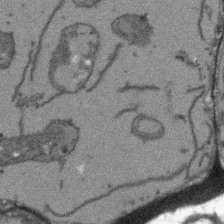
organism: Arabidopsis thaliana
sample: Root tip